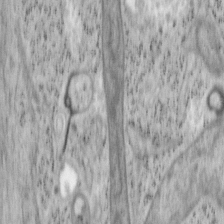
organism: Human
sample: HeLa cells